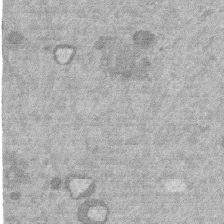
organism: Mouse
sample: Dividing mouse embryo 1 cell stage